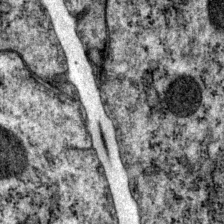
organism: P. pacificus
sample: Pharynx